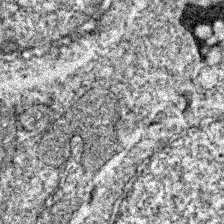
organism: Zebrafish